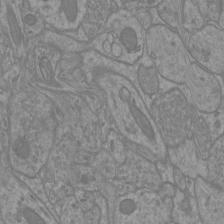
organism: Mouse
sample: Cortical neurons